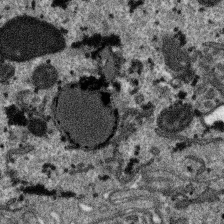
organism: Human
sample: Lung epithelial cells infected with SARS-CoV-2